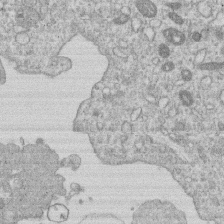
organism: Human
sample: Macrophage cells